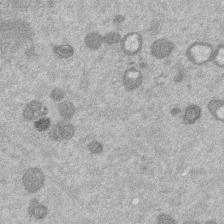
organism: Mouse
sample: Dividing mouse embryo 1 cell stage